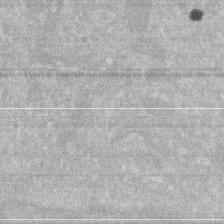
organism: Human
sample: HIV infected U937 cells